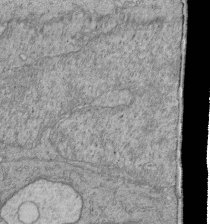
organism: Human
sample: Retinal organoid Rod and Cone cells